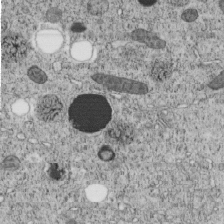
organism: C. elegans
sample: C. elegans embryo early stage